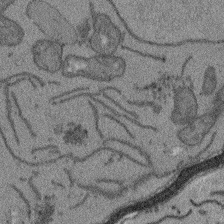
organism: Arabidopsis thaliana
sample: Root tip